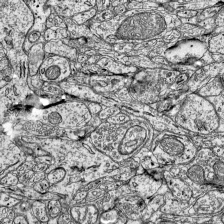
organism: Mouse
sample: Visual Cortex